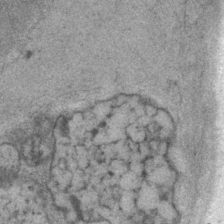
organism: P. pacificus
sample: Pharynx